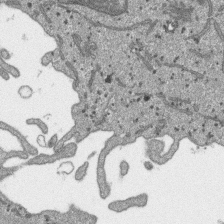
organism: Human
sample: Lung epithelial cells infected with SARS-CoV-2